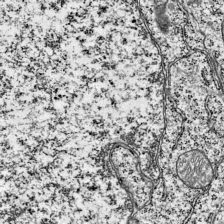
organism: Mouse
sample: Visual Cortex